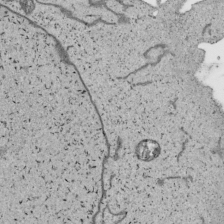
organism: Human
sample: Mitochondria in HCT116 cells